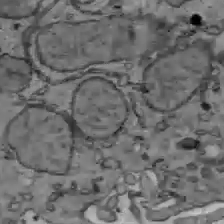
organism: C57BL Mouse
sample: Liver